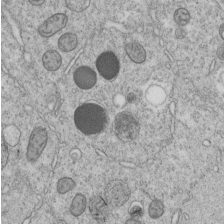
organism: C. elegans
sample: C. elegans embryo early stage